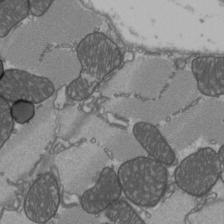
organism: C57BL Mouse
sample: Heart